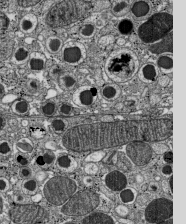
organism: C57BL Mouse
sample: Pancreatic islet